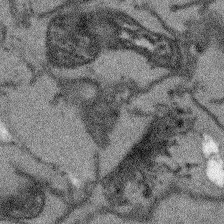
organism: Arabidopsis thaliana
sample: Root tip